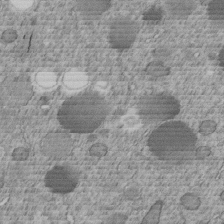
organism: C. elegans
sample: C. elegans embryo early stage